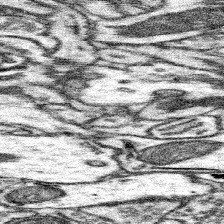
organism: Mouse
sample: Somatosensory cortex neuropil